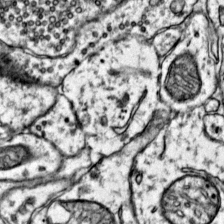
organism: Mouse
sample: Primary visual cortex